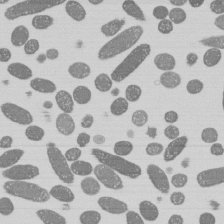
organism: E. coli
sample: Bacterial nucleoid